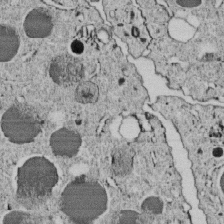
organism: C. elegans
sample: C. elegans embryo early stage